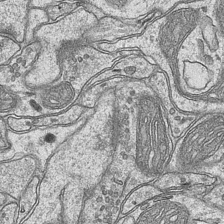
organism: Mouse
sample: CA1 Hippocampus